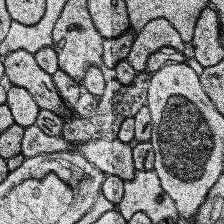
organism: Human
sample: Temporal Lobe